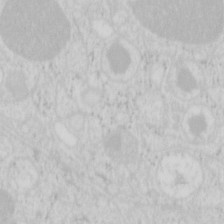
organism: Mouse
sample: Pancreas